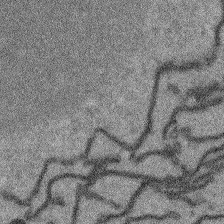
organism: Arabidopsis thaliana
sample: Root tip